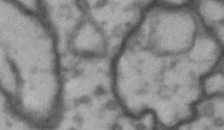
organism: Drosophila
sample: Brain